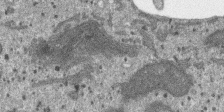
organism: Human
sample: Lung epithelial cells infected with SARS-CoV-2